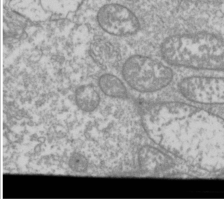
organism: Drosophila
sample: Cell division; meiosis; drosophila spermatocytes